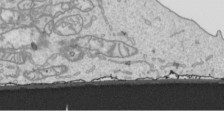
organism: Human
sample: Mitochondria in HCT116 cells